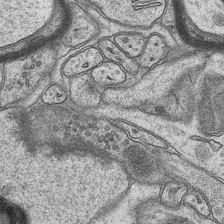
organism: Mouse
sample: CA1 Hippocampus